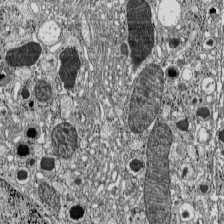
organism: C57BL Mouse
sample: Pancreatic islet